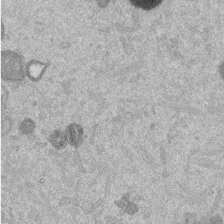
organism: Mouse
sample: Dividing mouse embryo 1 cell stage